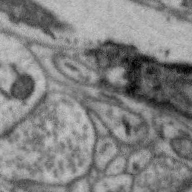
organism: Zebra finch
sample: Brain